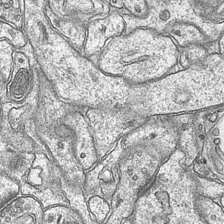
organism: Mouse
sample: CA1 Hippocampus